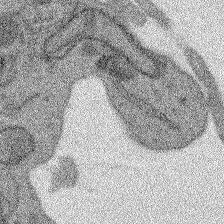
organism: Human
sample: HeLa cells